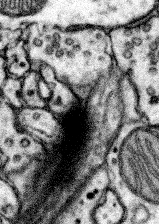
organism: Mouse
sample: Somatosensory cortex neuropil